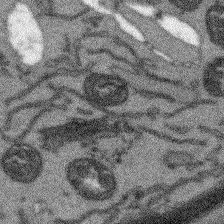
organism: Arabidopsis thaliana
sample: Root tip